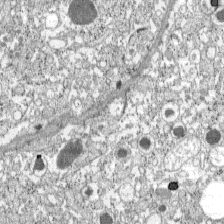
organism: C57BL Mouse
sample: Pancreatic islet